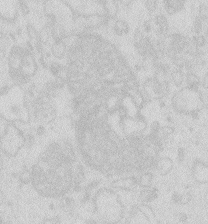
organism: Zebrafish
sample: Macrophage